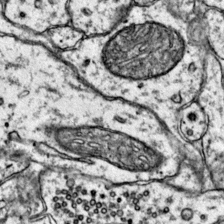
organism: Mouse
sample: Primary visual cortex